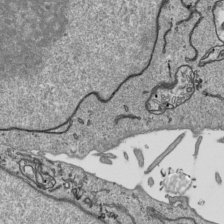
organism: Human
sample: Mitochondria in HCT116 cells